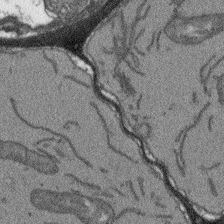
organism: Arabidopsis thaliana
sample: Root tip